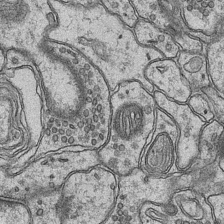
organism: Mouse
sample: CA1 Hippocampus